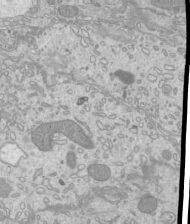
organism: Mouse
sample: Cilia; mouse epididymis